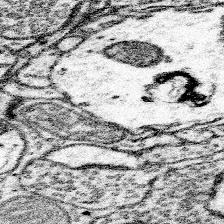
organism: Mouse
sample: Somatosensory cortex neuropil